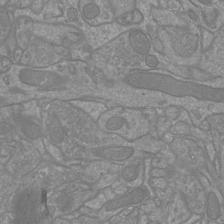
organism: Mouse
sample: Cortical neurons